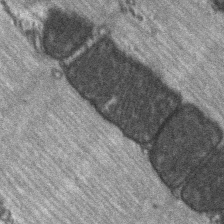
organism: C57BL Mouse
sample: Soleus